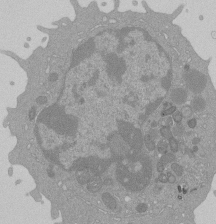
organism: Mouse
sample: Activated Pmel transgenic CD8+ T Cells